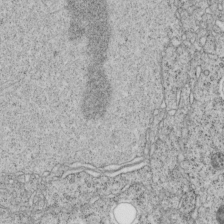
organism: C. elegans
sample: C. elegans embryo early stage